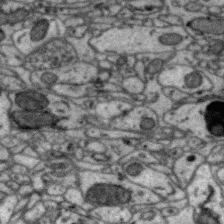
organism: Zebra finch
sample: Brain